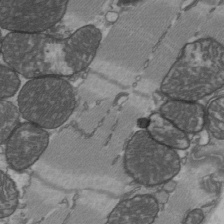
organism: C57BL Mouse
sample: Heart